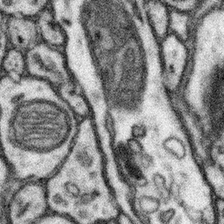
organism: Mouse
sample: Somatosensory cortex neuropil